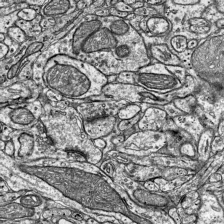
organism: Mouse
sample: Visual Cortex